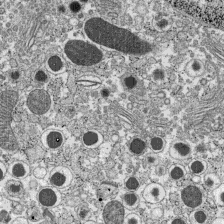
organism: C57BL Mouse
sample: Pancreatic islet